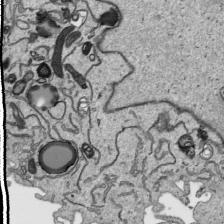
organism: Human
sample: Mitochondria in HCT116 cells